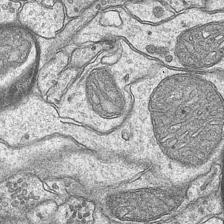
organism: Mouse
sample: CA1 Hippocampus